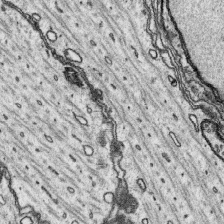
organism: Platynereis dumerilii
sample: Parapodia